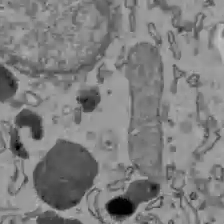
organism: C57BL Mouse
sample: Liver